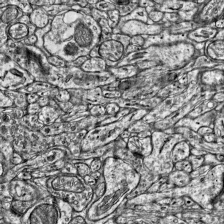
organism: Mouse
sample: Visual Cortex